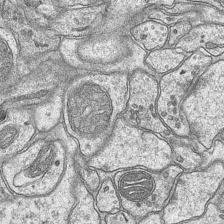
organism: Mouse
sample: CA1 Hippocampus